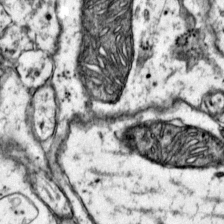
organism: Mouse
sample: Primary visual cortex